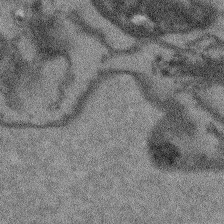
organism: Arabidopsis thaliana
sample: Root tip